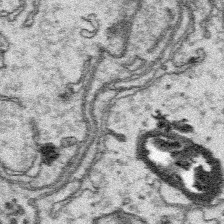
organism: Platynereis dumerilii